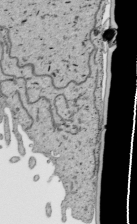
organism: Human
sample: Mitochondria in HCT116 cells